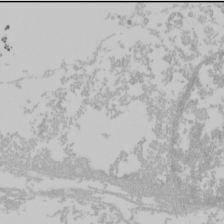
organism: Mouse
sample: Cancer cell death in ED-1 cells